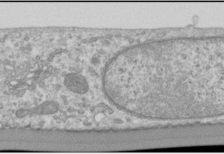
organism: Human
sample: Cilia; basal body in RPE cells